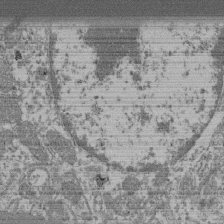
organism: Mouse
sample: Glomerulus